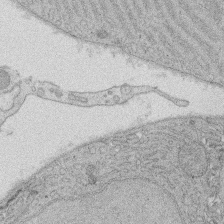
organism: Rat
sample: Salivary granule